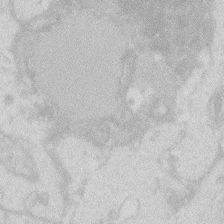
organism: Zebrafish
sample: Macrophage